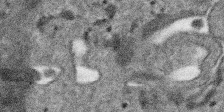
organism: Human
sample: Lung epithelial cells infected with SARS-CoV-2